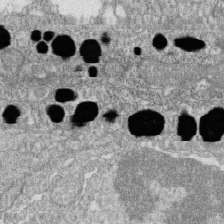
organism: Zebrafish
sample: Cilia; retinal pigment epithelium